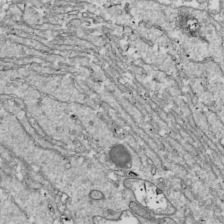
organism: Drosophila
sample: Cell division; meiosis; drosophila spermatocytes